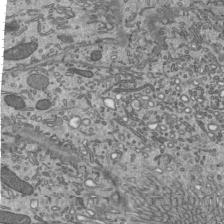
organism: Mouse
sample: Mouse epididymis efferent ductule cilia